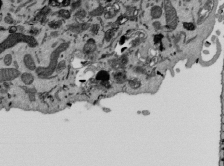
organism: Mouse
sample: ED-1 cell nuclei; centrioles